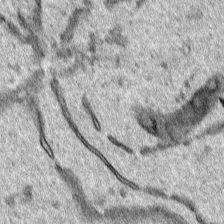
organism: Human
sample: Mitochondria in HCT116 cells